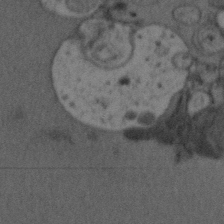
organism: Human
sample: HeLa cells